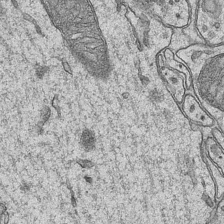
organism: Mouse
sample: CA1 Hippocampus